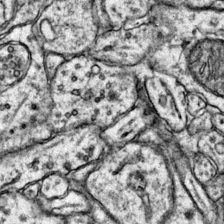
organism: Mouse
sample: Primary visual cortex